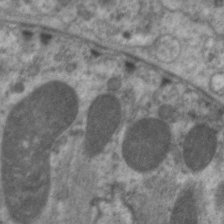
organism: C. elegans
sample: Pharynx